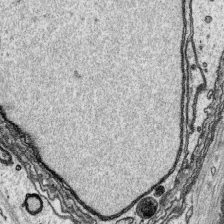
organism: Platynereis dumerilii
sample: Parapodia